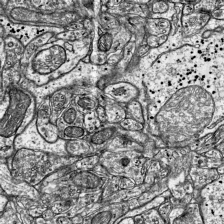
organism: Mouse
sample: Visual Cortex